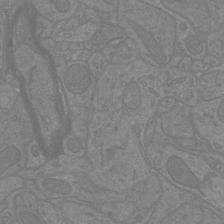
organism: Mouse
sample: Cortical neurons